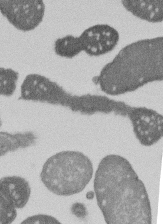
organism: E. coli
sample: Bacterial nucleoid